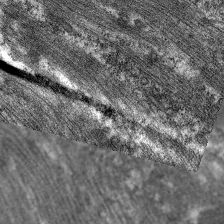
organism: C. elegans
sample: Pharynx